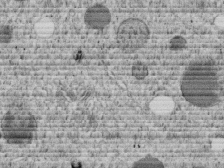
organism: C. elegans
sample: C. elegans embryo early stage